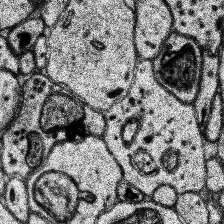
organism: Human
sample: Temporal Lobe